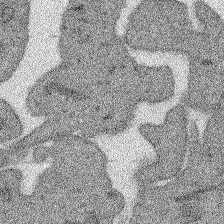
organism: Human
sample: HeLa cells